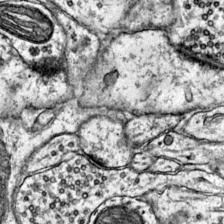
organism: Mouse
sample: Primary visual cortex